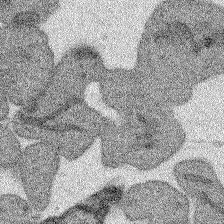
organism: Human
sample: HeLa cells